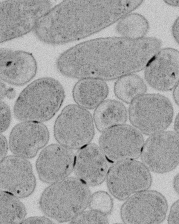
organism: E. coli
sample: Bacterial nucleoid